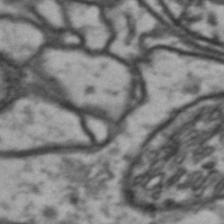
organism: Drosophila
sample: Brain